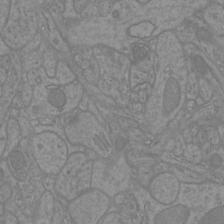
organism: Mouse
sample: Cortical neurons